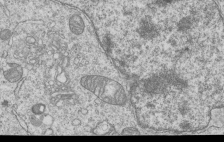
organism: Human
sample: MDA-MB-231 cells